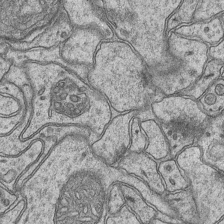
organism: Mouse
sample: CA1 Hippocampus